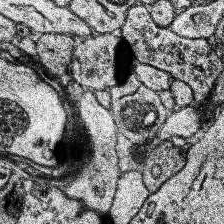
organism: Human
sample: Temporal Lobe